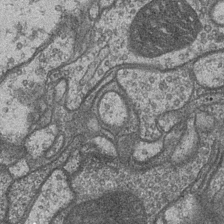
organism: Drosophila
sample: Optic medulla